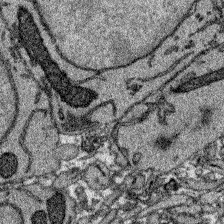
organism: Zebrafish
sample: Larval olfactory bulb